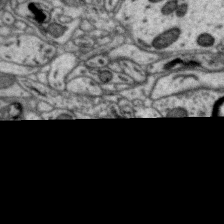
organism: Zebra finch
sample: Brain